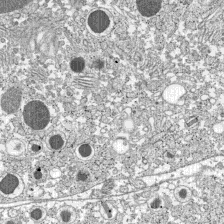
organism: C57BL Mouse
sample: Pancreatic islet